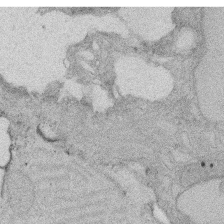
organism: Rat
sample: Salivary granule